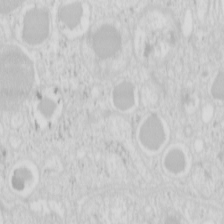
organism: Mouse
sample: Pancreas